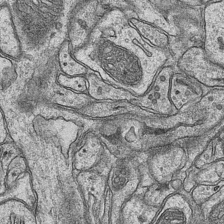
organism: Mouse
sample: CA1 Hippocampus